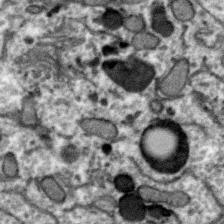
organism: Zebra finch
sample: Brain